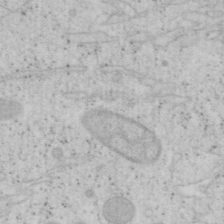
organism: Human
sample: HeLa cells